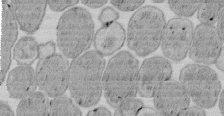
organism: E. coli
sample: Bacterial nucleoid